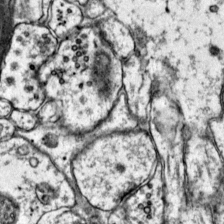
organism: Mouse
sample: Primary visual cortex